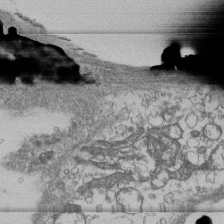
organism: Human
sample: Fibroblast cells